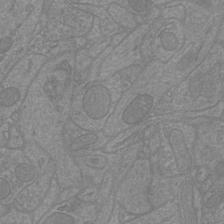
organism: Mouse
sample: Cortical neurons